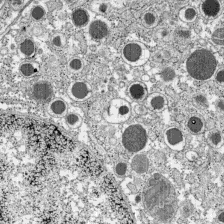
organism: C57BL Mouse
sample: Pancreatic islet